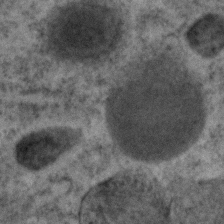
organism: C. elegans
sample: C. elegans embryo